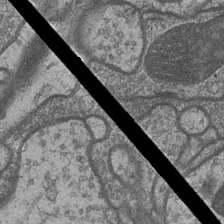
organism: Drosophila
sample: Optic medulla